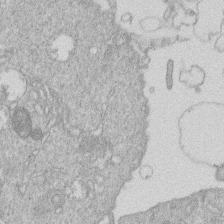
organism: Human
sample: Macrophage cells